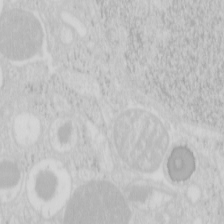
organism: Mouse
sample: Pancreas